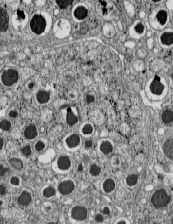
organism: C57BL Mouse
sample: Pancreatic islet